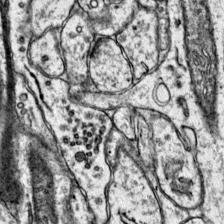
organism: Mouse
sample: Primary visual cortex